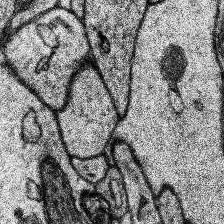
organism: Human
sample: Temporal Lobe